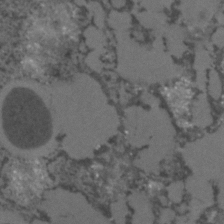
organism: C. elegans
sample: C. elegans embryo